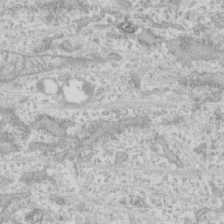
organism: Human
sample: CRL-1474